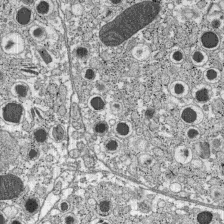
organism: C57BL Mouse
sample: Pancreatic islet